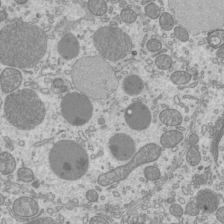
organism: Mouse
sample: Cilia; mouse epididymis